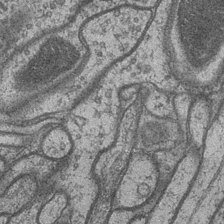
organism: Drosophila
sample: Optic medulla